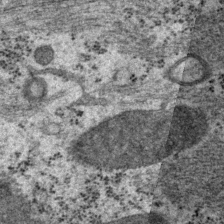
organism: P. pacificus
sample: Pharynx